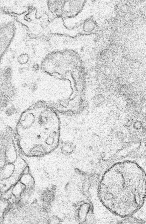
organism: Human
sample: Mitochondria in HCT116 cells